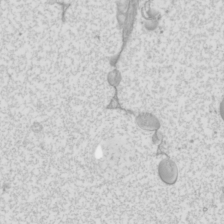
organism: Mouse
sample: Cilia; mouse epididymis